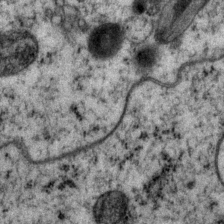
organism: P. pacificus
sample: Pharynx